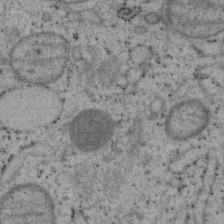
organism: Human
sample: HeLa cells